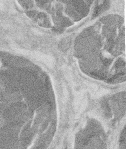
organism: Mouse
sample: T cell stromal cell synapse